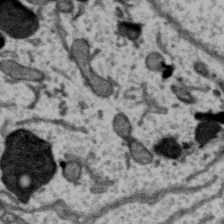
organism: Zebra finch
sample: Brain